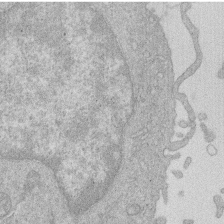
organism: Human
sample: Macrophage cells